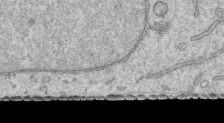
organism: Human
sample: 1205lu cells